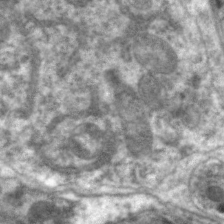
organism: C. elegans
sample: Pharynx